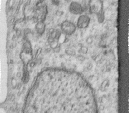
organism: Human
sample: Centriole in RPE cells